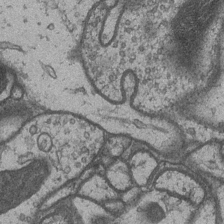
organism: Drosophila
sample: Optic medulla